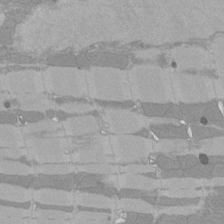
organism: Rat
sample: Left ventricle